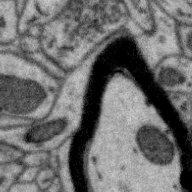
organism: Zebra finch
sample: Brain